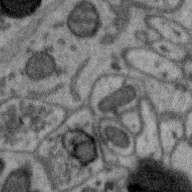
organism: Zebra finch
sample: Brain